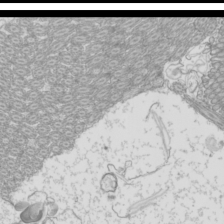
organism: Mouse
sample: Cilia; mouse epididymis